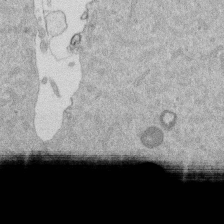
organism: Mouse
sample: Dividing mouse embryo 1 cell stage